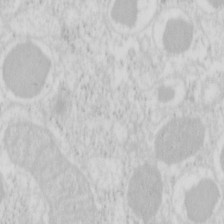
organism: Mouse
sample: Pancreas